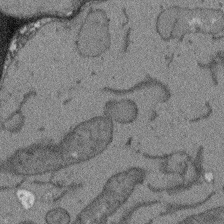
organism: Arabidopsis thaliana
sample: Root tip